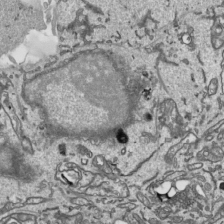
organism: Human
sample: Mitochondria in HCT116 cells